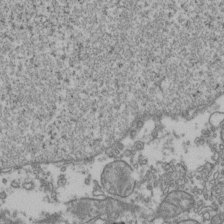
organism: Human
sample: Activated Jurkat CD4+ T cells